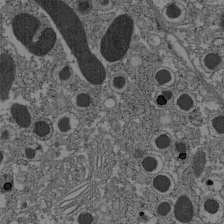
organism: C57BL Mouse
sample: Pancreatic islet